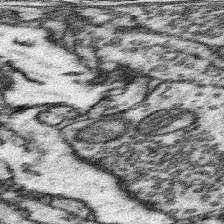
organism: Mouse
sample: Somatosensory cortex neuropil